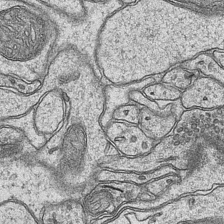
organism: Mouse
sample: CA1 Hippocampus